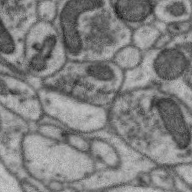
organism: Zebra finch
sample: Brain